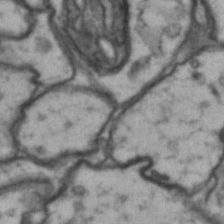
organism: Drosophila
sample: Brain